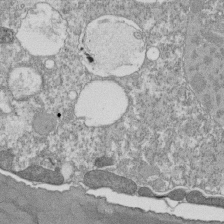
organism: Tetrahymena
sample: Cilia in tetrahymena